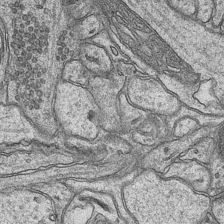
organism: Mouse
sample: CA1 Hippocampus